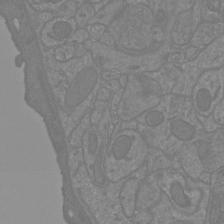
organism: Mouse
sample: Cortical neurons